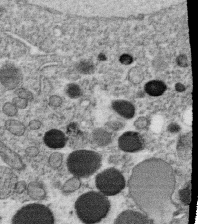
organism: C. elegans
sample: C. elegans oocyte; sperm cells